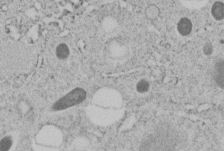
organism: C. elegans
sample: C. elegans embryo early stage